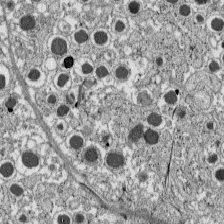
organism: C57BL Mouse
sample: Pancreatic islet